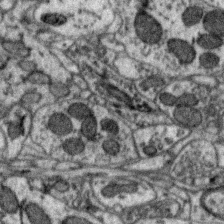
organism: Zebra finch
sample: Brain